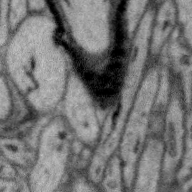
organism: Zebra finch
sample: Brain